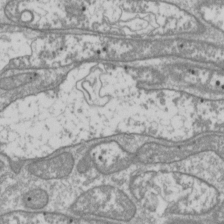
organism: Drosophila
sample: Cell division; meiosis; drosophila spermatocytes